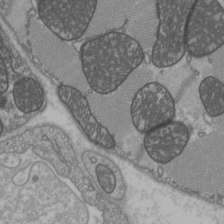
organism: C57BL Mouse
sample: Heart